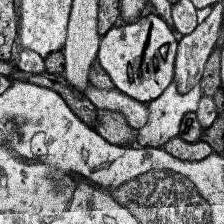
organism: Human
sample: Temporal Lobe